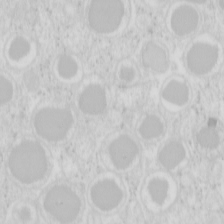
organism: Mouse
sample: Pancreas